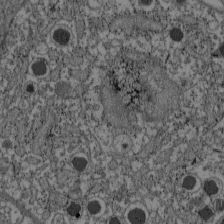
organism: C57BL Mouse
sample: Pancreatic islet